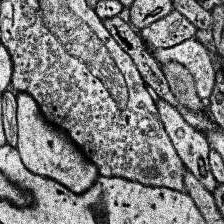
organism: Human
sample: Temporal Lobe